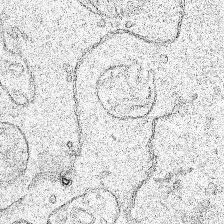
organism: Human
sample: Mitochondria in HCT116 cells